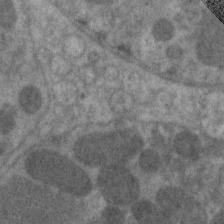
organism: C. elegans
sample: Pharynx